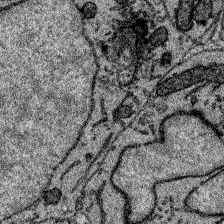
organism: Zebrafish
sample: Larval olfactory bulb